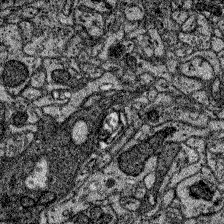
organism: Zebrafish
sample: Larval olfactory bulb